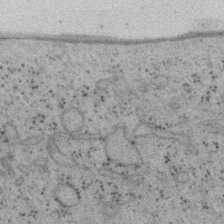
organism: Human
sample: HeLa cells